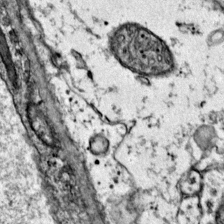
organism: Mouse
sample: Primary visual cortex